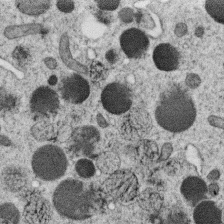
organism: C. elegans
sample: C. elegans oocyte; sperm cells